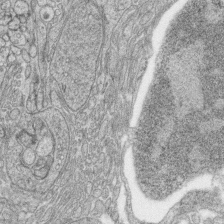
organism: Zebrafish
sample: synaptic ribbons in rod cells and cone cells